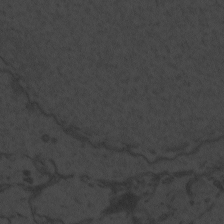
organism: Zebrafish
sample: Macrophage infected with Toxoplasma gondii